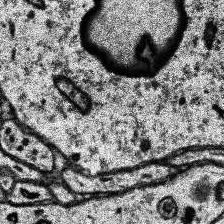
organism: Human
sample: Temporal Lobe